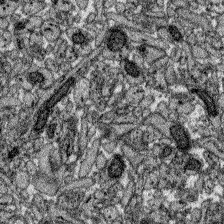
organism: Zebrafish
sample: Larval olfactory bulb